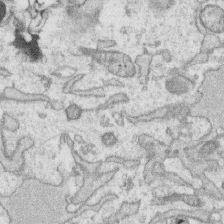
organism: Human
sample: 1205lu cells